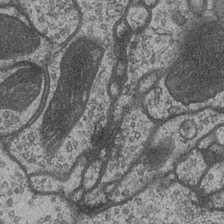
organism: Drosophila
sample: Optic medulla